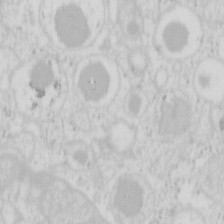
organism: Mouse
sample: Pancreas